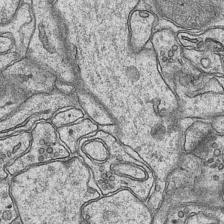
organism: Mouse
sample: CA1 Hippocampus